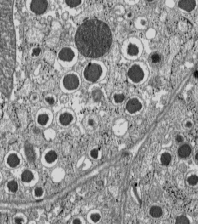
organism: C57BL Mouse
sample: Pancreatic islet